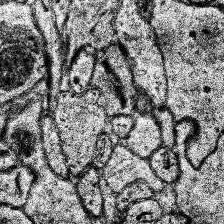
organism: Human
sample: Temporal Lobe